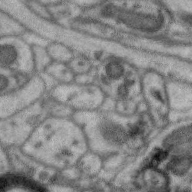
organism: Zebra finch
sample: Brain